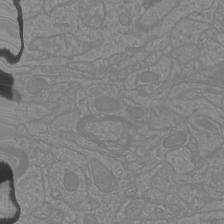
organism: Mouse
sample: Cortical neurons